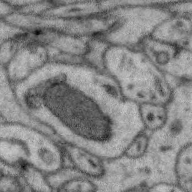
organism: Zebra finch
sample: Brain